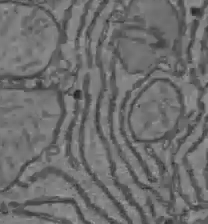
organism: C57BL Mouse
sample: Liver